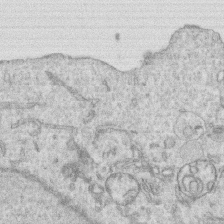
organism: Human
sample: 1205lu cells